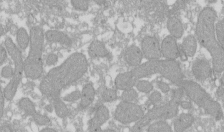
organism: Xenopus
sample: Cilia; centrioles in frog embryo cells